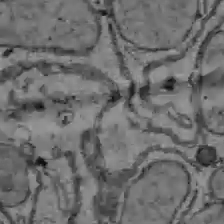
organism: C57BL Mouse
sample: Liver